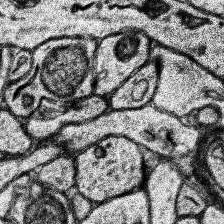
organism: Human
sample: Temporal Lobe